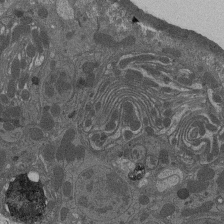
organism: Drosophila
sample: Antenna